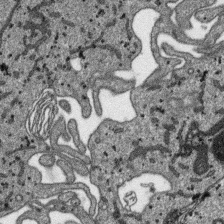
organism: Human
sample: Lung epithelial cells infected with SARS-CoV-2